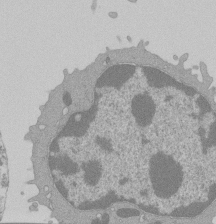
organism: Mouse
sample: Activated Pmel transgenic CD8+ T Cells